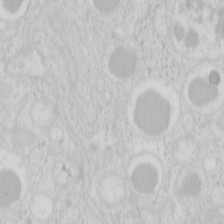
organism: Mouse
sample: Pancreas